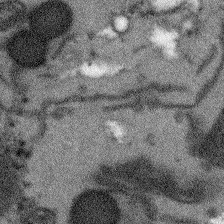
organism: Arabidopsis thaliana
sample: Root tip